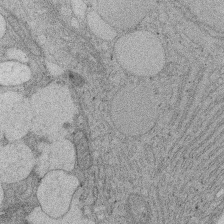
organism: Rat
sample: Salivary granule